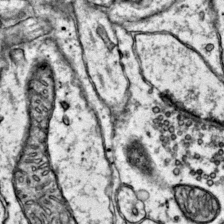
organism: Mouse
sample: Primary visual cortex